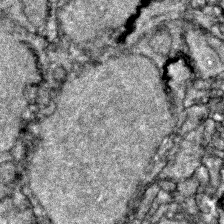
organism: Zebrafish